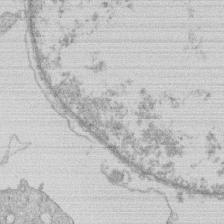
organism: Human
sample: Macrophage cells